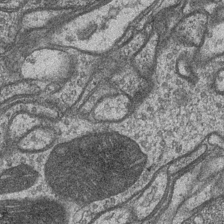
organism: Drosophila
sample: Optic medulla